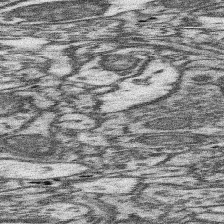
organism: Mouse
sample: Somatosensory cortex neuropil